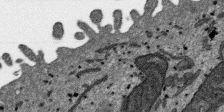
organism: Human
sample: Lung epithelial cells, uninfected (mock) control